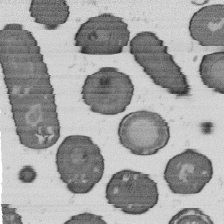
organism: B. subtilis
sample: Bacterial spore